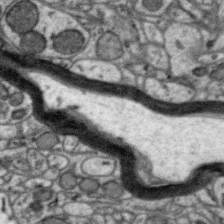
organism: Zebra finch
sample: Brain